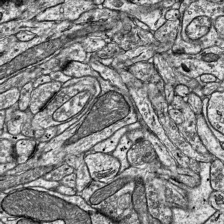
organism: Mouse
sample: Visual Cortex